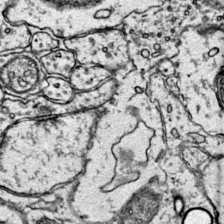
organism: Mouse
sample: Primary visual cortex